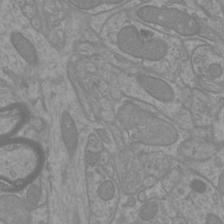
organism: Mouse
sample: Cortical neurons